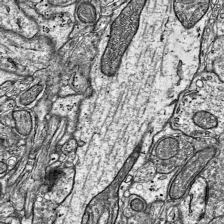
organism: Mouse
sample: Visual Cortex